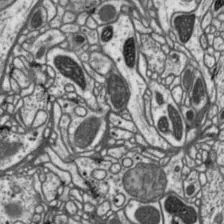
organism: Drosophila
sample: Protocerebral bridge